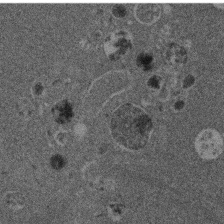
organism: Mouse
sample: Dividing mouse embryo 1 cell stage